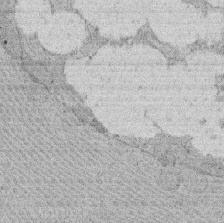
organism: Rat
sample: Salivary granule